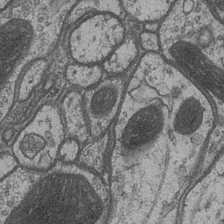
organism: Drosophila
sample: Optic medulla